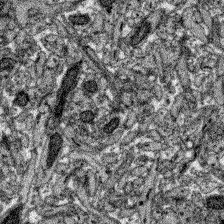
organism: Zebrafish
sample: Larval olfactory bulb